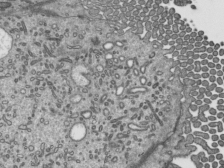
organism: Mouse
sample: Mouse epididymis efferent ductule cilia